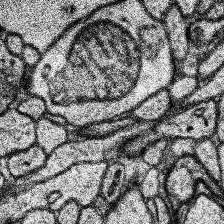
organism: Human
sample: Temporal Lobe